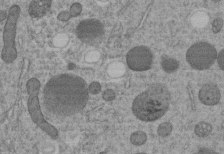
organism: C. elegans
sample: C. elegans embryo early stage